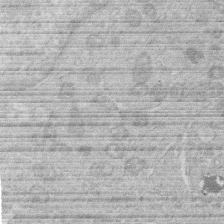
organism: Human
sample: Macrophage cells